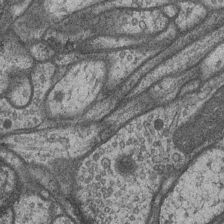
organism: Drosophila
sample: Optic medulla